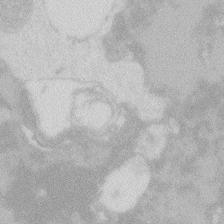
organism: Zebrafish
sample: Macrophage